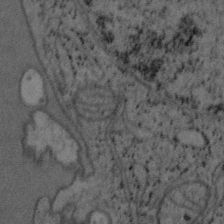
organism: Human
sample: HeLa cells